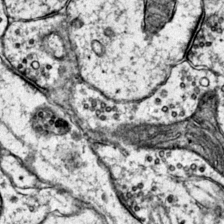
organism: Mouse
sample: Primary visual cortex